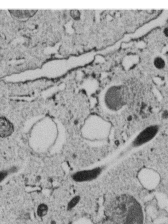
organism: C. elegans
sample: C. elegans embryo early stage